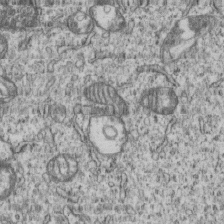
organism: Human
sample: MDA-MB-231 cells